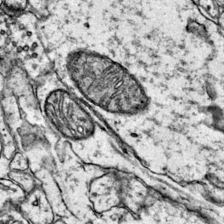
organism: Mouse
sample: Primary visual cortex